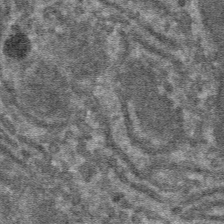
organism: Mouse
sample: Mouse hepatocytes